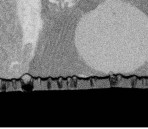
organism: Rat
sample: Salivary granule